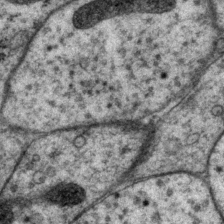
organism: P. pacificus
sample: Pharynx